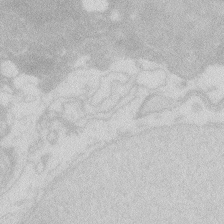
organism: Zebrafish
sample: Macrophage